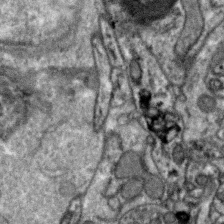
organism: Zebra finch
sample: Brain